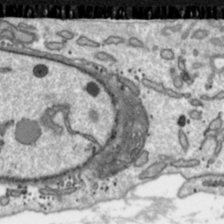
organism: Toxoplasma gondii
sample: Parasites in a vacuole inside a host cell